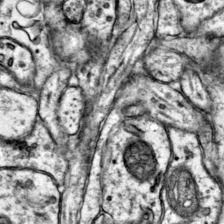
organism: Mouse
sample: Primary visual cortex